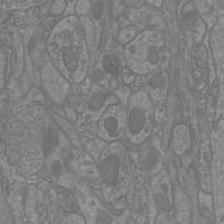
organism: Mouse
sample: Cortical neurons